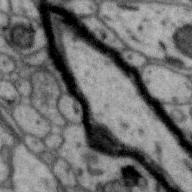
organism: Zebra finch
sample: Brain